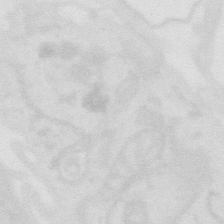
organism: Human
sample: HeLa cells